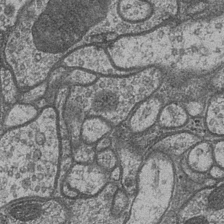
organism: Drosophila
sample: Optic medulla